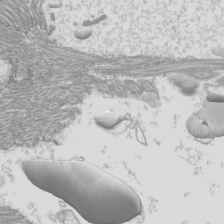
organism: Mouse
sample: Cilia; mouse epididymis